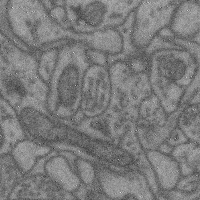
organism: Mouse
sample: Cerebral cortex